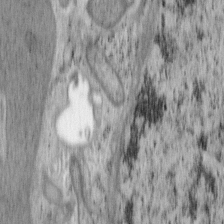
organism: Human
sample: HeLa cells